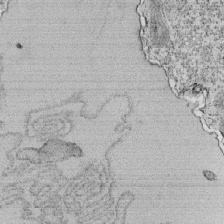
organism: Tetrahymena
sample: Cilia in tetrahymena